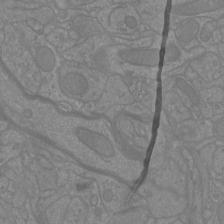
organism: Mouse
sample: Cortical neurons